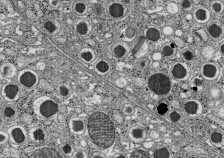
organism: C57BL Mouse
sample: Pancreatic islet